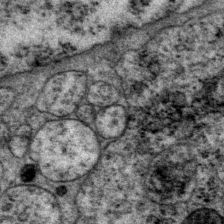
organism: P. pacificus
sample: Pharynx